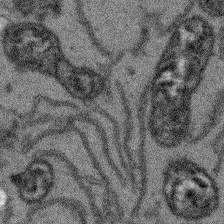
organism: Arabidopsis thaliana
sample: Root tip